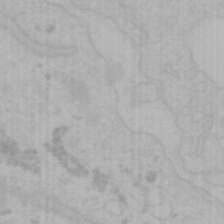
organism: Mouse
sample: Choroid plexus